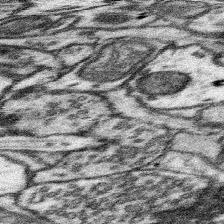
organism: Mouse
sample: Somatosensory cortex neuropil